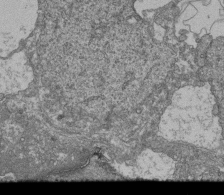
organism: Human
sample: Retinal organoid Rod and Cone cells